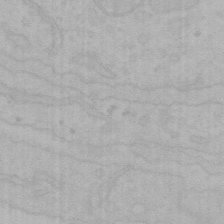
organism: Mouse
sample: Choroid plexus